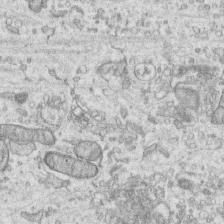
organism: Human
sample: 1205lu cells